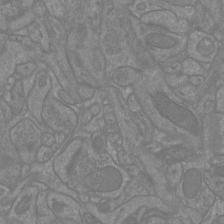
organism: Mouse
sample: Cortical neurons